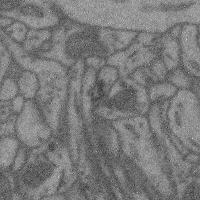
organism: Mouse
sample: Cerebral cortex